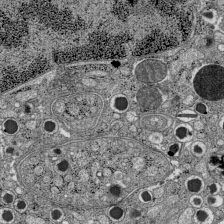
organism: C57BL Mouse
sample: Pancreatic islet